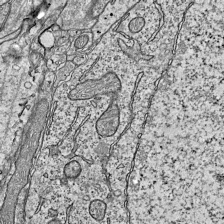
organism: Mouse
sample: Visual Cortex